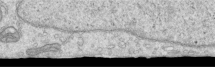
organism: Human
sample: Centriole in RPE cells